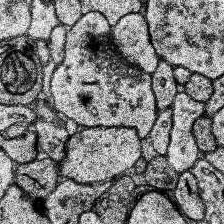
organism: Human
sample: Temporal Lobe